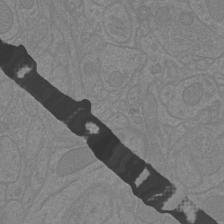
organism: Mouse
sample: Cortical neurons